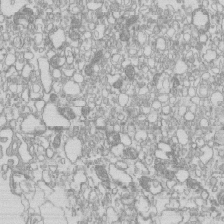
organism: Mouse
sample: Macrophages